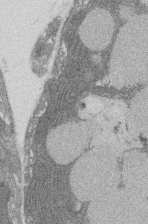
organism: Rat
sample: Salivary granule